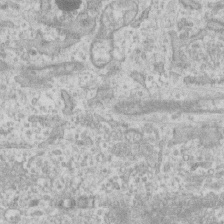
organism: Human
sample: CRL-1474